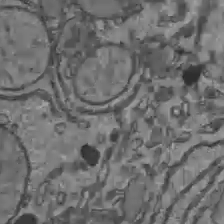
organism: C57BL Mouse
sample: Liver